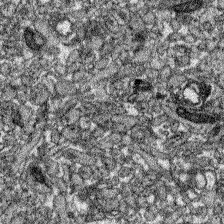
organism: Zebrafish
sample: Larval olfactory bulb